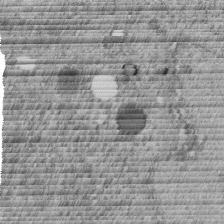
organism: C. elegans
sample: C. elegans embryo early stage